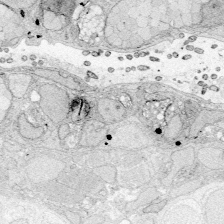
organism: Zebrafish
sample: Whole-Brain